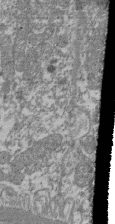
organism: Mouse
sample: Glomerulus